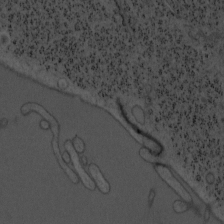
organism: Mouse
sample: OT-I killer T cells with ID8 ovarian cancer cells